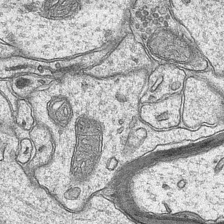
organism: Mouse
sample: CA1 Hippocampus